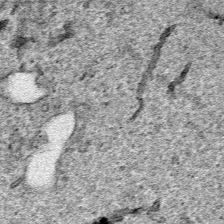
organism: Human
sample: Mitochondria in HCT116 cells